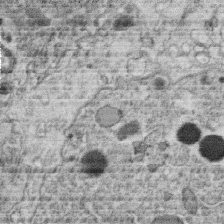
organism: C. elegans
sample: C. elegans oocyte; sperm cells